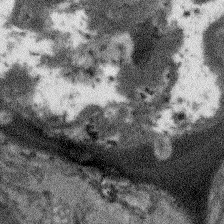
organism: Arabidopsis thaliana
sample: Root tip